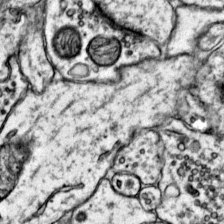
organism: Mouse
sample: Primary visual cortex